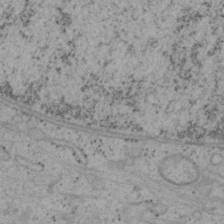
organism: Human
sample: HeLa cells